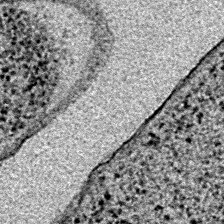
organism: E. coli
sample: E. Coli Bacteria